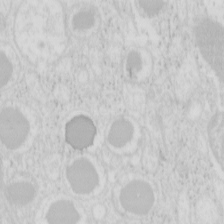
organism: Mouse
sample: Pancreas